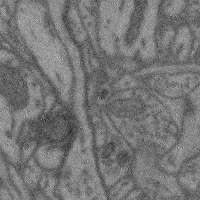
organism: Mouse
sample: Cerebral cortex